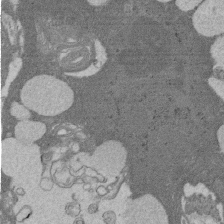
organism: Rat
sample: Salivary granule